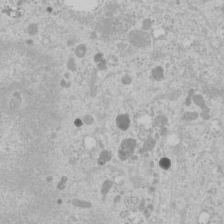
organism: Human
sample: Mitochondria in U2OS cells